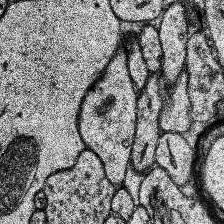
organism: Human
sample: Temporal Lobe